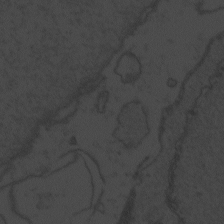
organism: Zebrafish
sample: Macrophage infected with Toxoplasma gondii